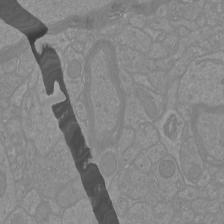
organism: Mouse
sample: Cortical neurons